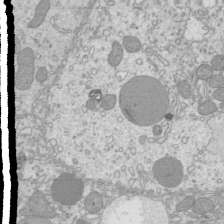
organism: Mouse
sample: Cilia; mouse epididymis